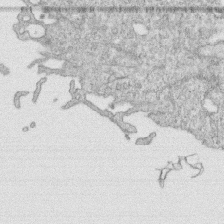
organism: Human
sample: HeLa cell HIV synapse